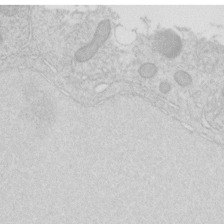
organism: C. elegans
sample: C. elegans embryo early stage